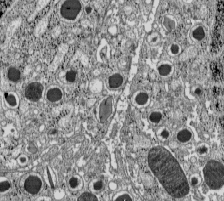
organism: C57BL Mouse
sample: Pancreatic islet